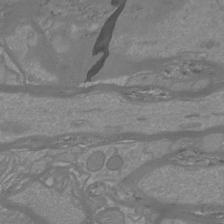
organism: Mouse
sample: Cortical neurons